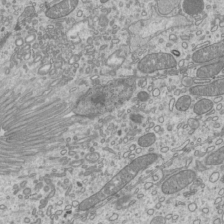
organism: Mouse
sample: Cilia; mouse epididymis